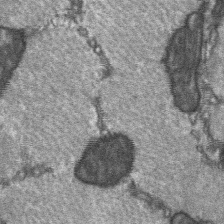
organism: C57BL Mouse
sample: Soleus